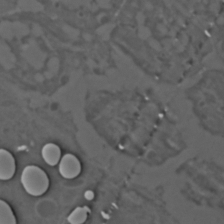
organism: C. elegans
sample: C. elegans embryo